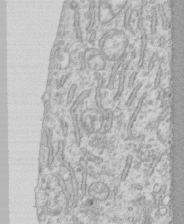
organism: Human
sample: CRL-1474